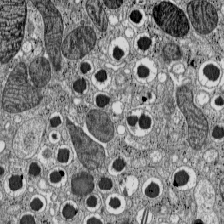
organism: C57BL Mouse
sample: Pancreatic islet